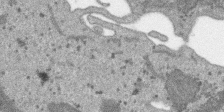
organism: Human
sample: Lung epithelial cells infected with SARS-CoV-2